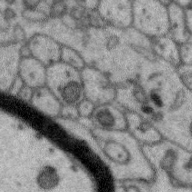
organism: Zebra finch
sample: Brain